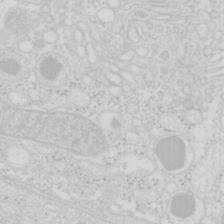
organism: Mouse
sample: Pancreas